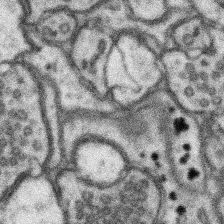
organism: Mouse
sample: Somatosensory cortex neuropil